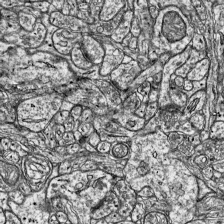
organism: Mouse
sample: Visual Cortex